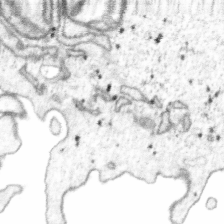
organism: Human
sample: HeLa cells